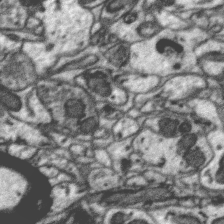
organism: Zebra finch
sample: Brain